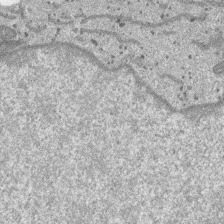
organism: Human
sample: Lung epithelial cells infected with SARS-CoV-2